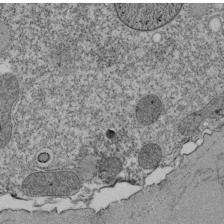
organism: Tetrahymena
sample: Cilia in tetrahymena